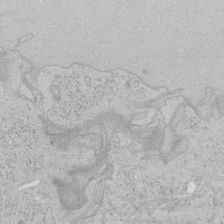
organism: Human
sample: Mitochondria in HCT116 cells